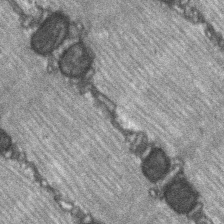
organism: C57BL Mouse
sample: Soleus